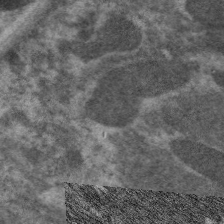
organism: C. elegans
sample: Pharynx